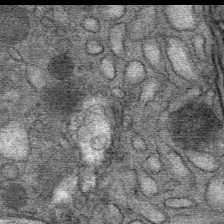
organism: Mouse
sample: Mouse Salivary gland